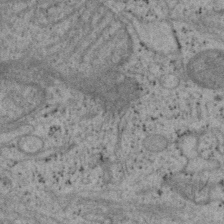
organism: Human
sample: HeLa cells